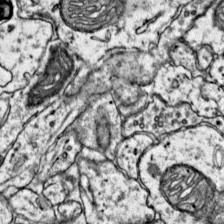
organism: Mouse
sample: Primary visual cortex